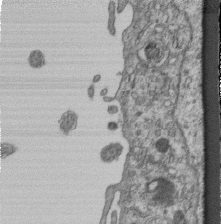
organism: Mouse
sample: Centriole in ependymal cells